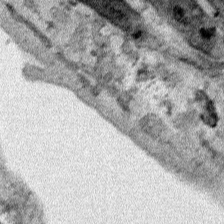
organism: Human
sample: Mitochondria in HCT116 cells